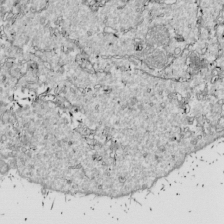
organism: Drosophila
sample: Cell division; meiosis; drosophila spermatocytes